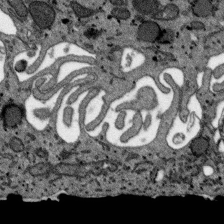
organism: Human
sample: Lung epithelial cells, uninfected (mock) control